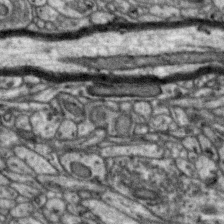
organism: Zebra finch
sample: Brain